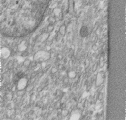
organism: Human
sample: Centriole in RPE cells